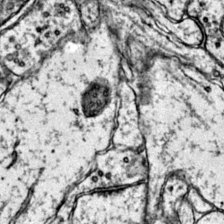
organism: Mouse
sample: Primary visual cortex